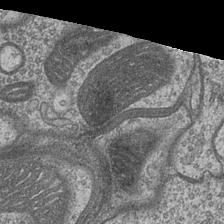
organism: Drosophila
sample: Optic medulla